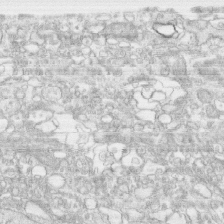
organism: Human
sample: CRL-1474